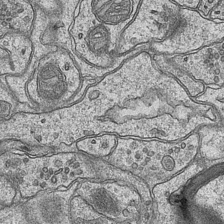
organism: Mouse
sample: CA1 Hippocampus